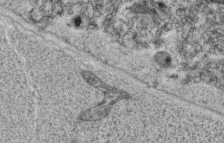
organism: C. elegans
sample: C. elegans oocyte; sperm cells